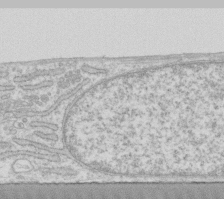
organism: Human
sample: Fibroblast cells